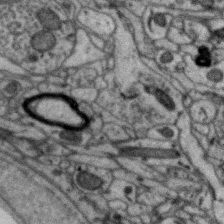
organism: Zebra finch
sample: Brain